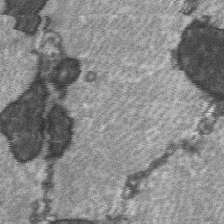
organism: C57BL Mouse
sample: Soleus